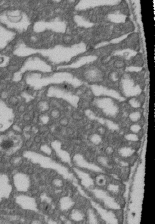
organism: Drosophila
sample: Nephrocyte